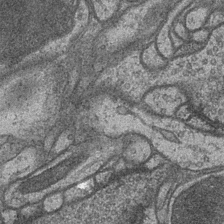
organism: Drosophila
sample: Optic medulla